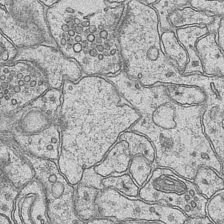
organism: Mouse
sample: CA1 Hippocampus